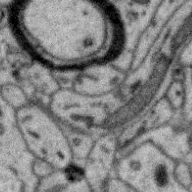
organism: Zebra finch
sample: Brain